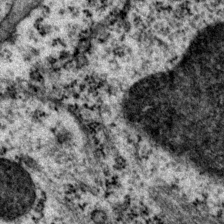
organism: P. pacificus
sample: Pharynx